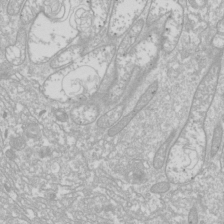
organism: Drosophila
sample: Cell division; meiosis; drosophila spermatocytes